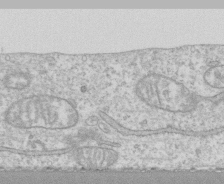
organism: Human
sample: CRL-1474